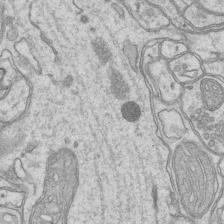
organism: Mouse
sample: CA1 Hippocampus